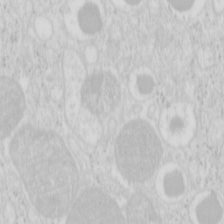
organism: Mouse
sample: Pancreas